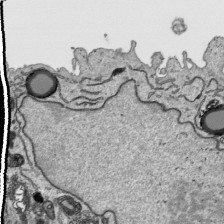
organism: Human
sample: Mitochondria in HCT116 cells